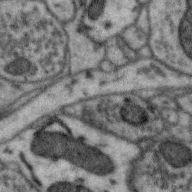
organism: Zebra finch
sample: Brain